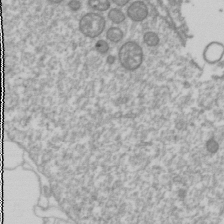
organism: Drosophila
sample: Cell division; meiosis; drosophila spermatocytes